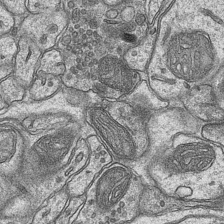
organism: Mouse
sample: CA1 Hippocampus